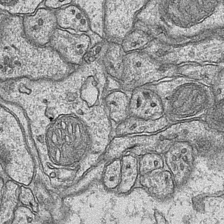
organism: Mouse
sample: CA1 Hippocampus